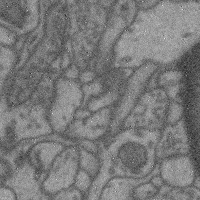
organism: Mouse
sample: Cerebral cortex